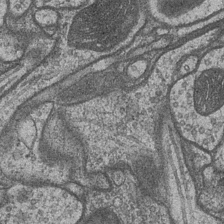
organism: Drosophila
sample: Optic medulla